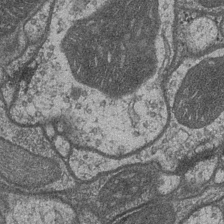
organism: Drosophila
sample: Optic medulla